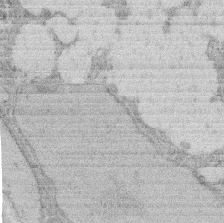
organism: Rat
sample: Salivary granule